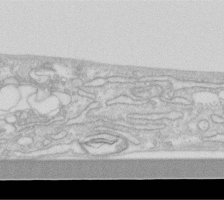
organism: Human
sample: Fibroblast cells